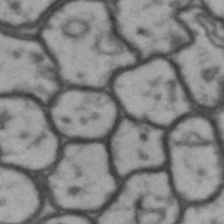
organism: Drosophila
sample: Brain